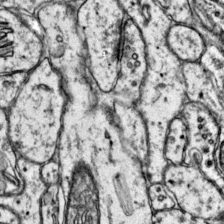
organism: Mouse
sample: Primary visual cortex